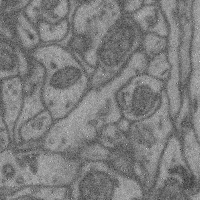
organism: Mouse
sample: Cerebral cortex